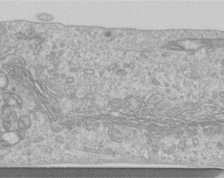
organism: Human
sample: Centriole in RPE cells